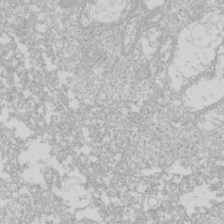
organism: Drosophila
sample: Cell division; meiosis; drosophila spermatocytes